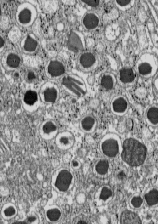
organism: C57BL Mouse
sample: Pancreatic islet